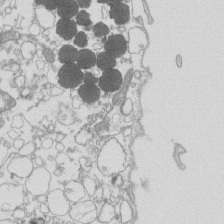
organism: Mouse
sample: Macrophages